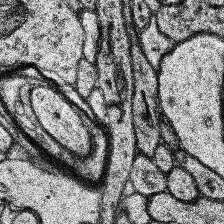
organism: Human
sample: Temporal Lobe